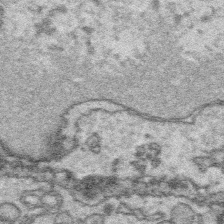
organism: Platynereis dumerilii